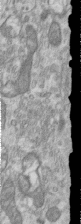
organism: Human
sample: Centriole in RPE cells